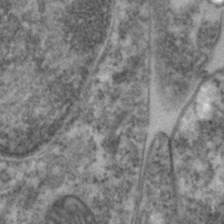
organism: Zebrafish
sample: Zebrafish embryo